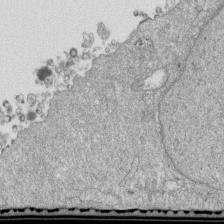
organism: Human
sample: HeLa cell HIV synapse